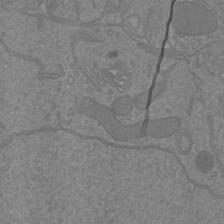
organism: Mouse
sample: Cortical neurons